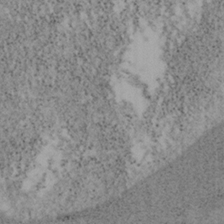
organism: Mouse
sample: OT-I killer T cells with ID8 ovarian cancer cells